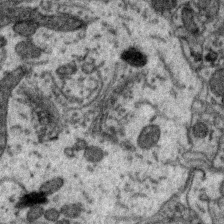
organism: Zebra finch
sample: Brain